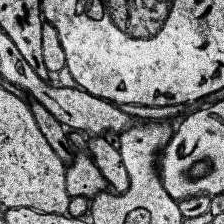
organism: Human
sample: Temporal Lobe